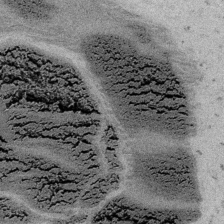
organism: Embia sp.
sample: Silk gland